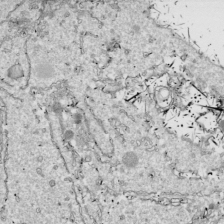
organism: Drosophila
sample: Cell division; meiosis; drosophila spermatocytes